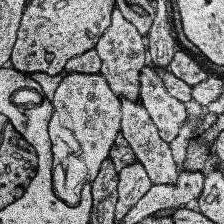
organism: Human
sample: Temporal Lobe